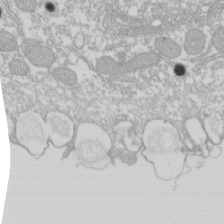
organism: Xenopus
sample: Cilia; centrioles in frog embryo cells